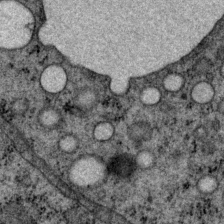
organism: P. pacificus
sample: Pharynx